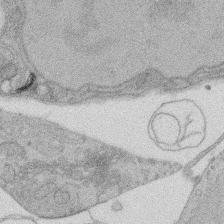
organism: Rat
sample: Salivary granule